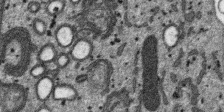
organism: Human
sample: Lung epithelial cells infected with SARS-CoV-2